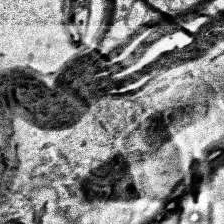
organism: Human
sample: Temporal Lobe